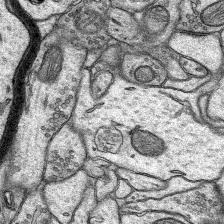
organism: Rat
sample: Hippocampus